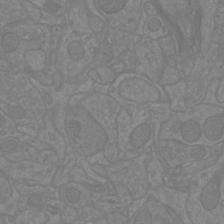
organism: Mouse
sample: Cortical neurons